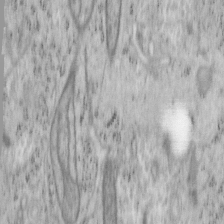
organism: Human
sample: HeLa cells